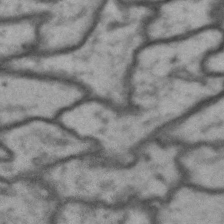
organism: Drosophila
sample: Brain